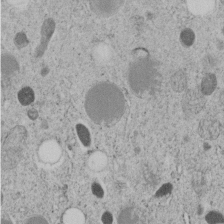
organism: C. elegans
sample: C. elegans embryo early stage